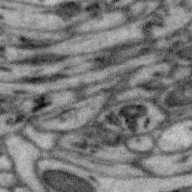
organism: Zebra finch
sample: Brain